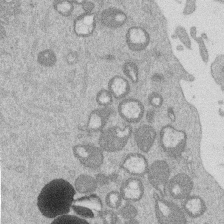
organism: Mouse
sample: Dividing mouse embryo 1 cell stage